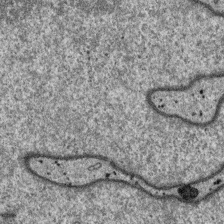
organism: Human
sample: Lung epithelial cells, uninfected (mock) control